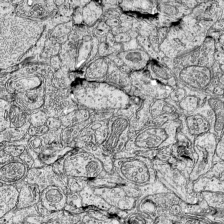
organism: Mouse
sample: Visual Cortex